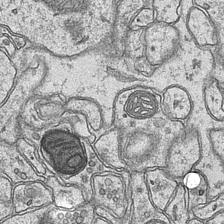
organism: Mouse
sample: CA1 Hippocampus